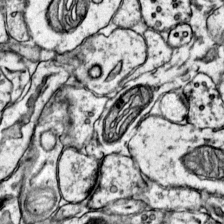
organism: Mouse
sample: Primary visual cortex